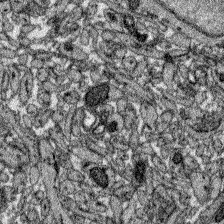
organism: Zebrafish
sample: Larval olfactory bulb